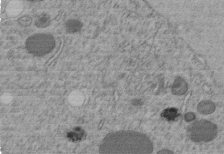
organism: C. elegans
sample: C. elegans embryo early stage